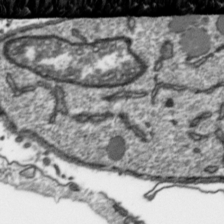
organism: Toxoplasma gondii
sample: Parasites in a vacuole inside a host cell